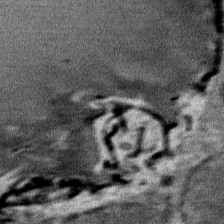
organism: Mouse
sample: Mouse Salivary gland